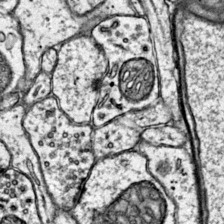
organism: Mouse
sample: Primary visual cortex